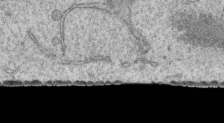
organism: Human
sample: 1205lu cells